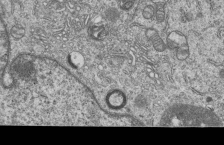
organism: Human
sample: MDA-MB-231 cells